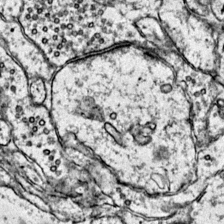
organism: Mouse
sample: Primary visual cortex